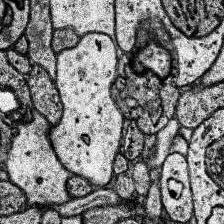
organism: Human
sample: Temporal Lobe